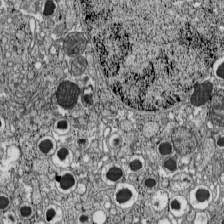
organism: C57BL Mouse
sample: Pancreatic islet